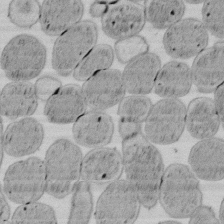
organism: E. coli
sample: Bacterial nucleoid